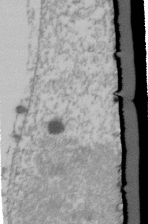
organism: Human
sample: U2-OS cells